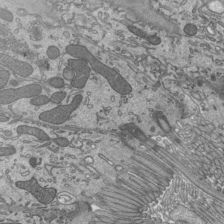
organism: Mouse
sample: Mouse epididymis efferent ductule cilia